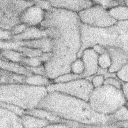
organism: Rabbit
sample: Retina